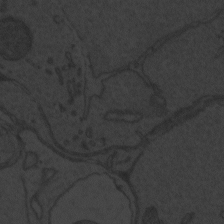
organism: Zebrafish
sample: Macrophage infected with Toxoplasma gondii